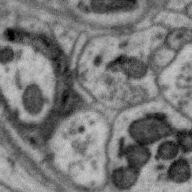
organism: Zebra finch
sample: Brain